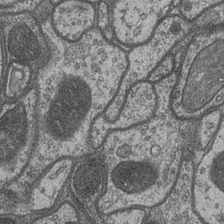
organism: Drosophila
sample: Optic medulla